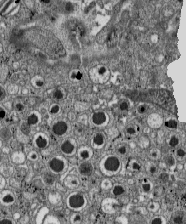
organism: C57BL Mouse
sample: Pancreatic islet